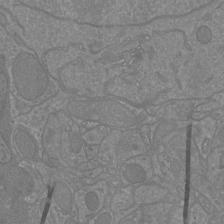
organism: Mouse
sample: Cortical neurons